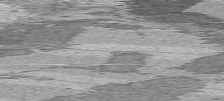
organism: C57BL Mouse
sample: Heart